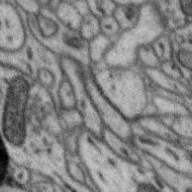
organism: Zebra finch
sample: Brain